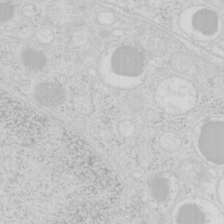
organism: Mouse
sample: Pancreas